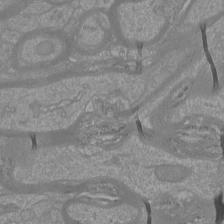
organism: Mouse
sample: Cortical neurons